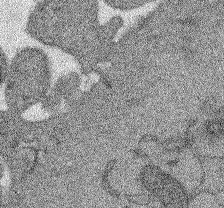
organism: Human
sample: HeLa cells